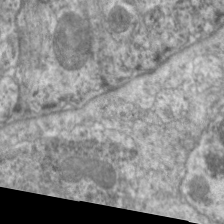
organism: C. elegans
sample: Pharynx